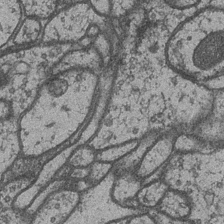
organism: Drosophila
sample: Optic medulla